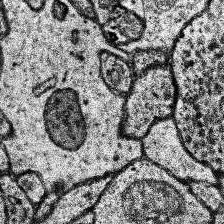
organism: Human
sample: Temporal Lobe